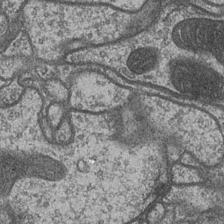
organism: Drosophila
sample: Optic medulla